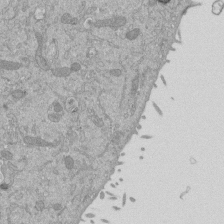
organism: Mouse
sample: ED-1 cell nuclei; centrioles